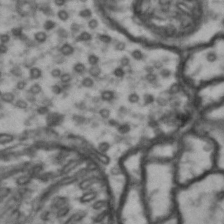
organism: Drosophila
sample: Brain